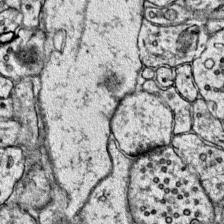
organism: Mouse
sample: Primary visual cortex